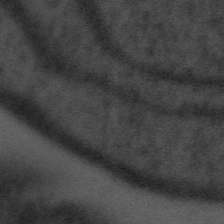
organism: Tuwongella immobilis